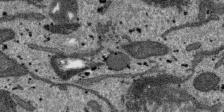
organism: Human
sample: Lung epithelial cells, uninfected (mock) control